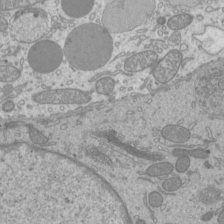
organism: Mouse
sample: Cilia; mouse epididymis